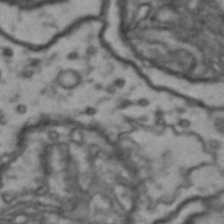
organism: Drosophila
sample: Brain